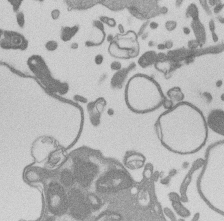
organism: Mouse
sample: Dividing mouse embryo 1 cell stage